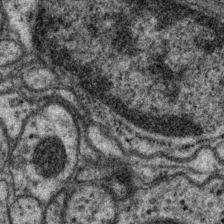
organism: P. pacificus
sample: Pharynx